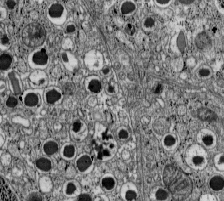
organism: C57BL Mouse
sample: Pancreatic islet